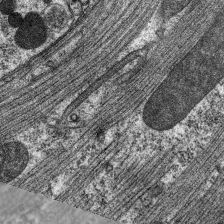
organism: C. elegans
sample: Pharynx